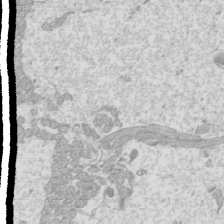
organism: Mouse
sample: Cilia; mouse epididymis